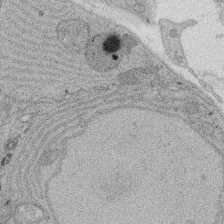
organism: Rat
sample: Salivary granule